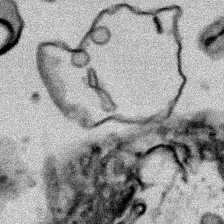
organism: Human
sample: Mitochondria in HCT116 cells